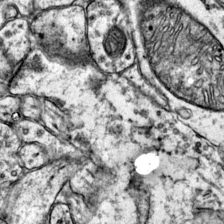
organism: Mouse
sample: Primary visual cortex